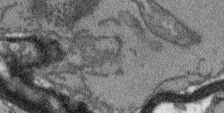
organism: Arabidopsis thaliana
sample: Root tip